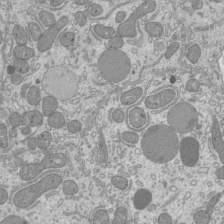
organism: Mouse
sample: Cilia; mouse epididymis